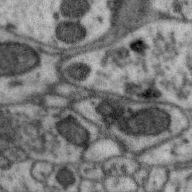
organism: Zebra finch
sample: Brain